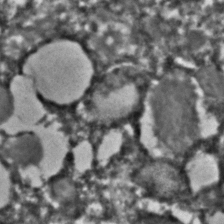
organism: C. elegans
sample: C. elegans embryo